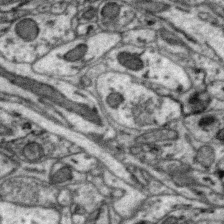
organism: Zebra finch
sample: Brain